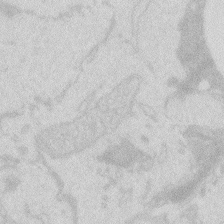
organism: Zebrafish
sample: Macrophage